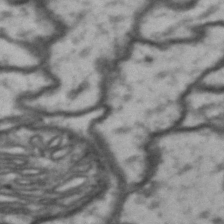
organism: Drosophila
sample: Brain